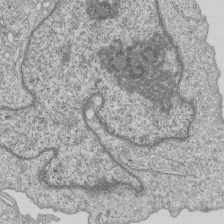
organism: Human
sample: MDA-MB-231 cells